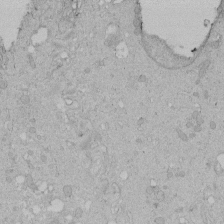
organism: Human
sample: Melanocyte Keratinocyte synapse skin construct